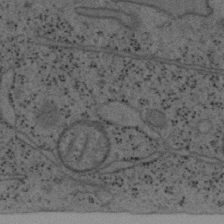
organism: Human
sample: HeLa cells